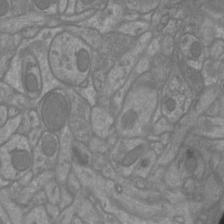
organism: Mouse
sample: Cortical neurons